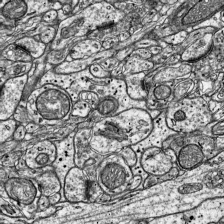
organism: Mouse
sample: Visual Cortex